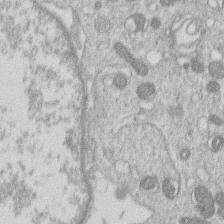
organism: Human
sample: Macrophage cells